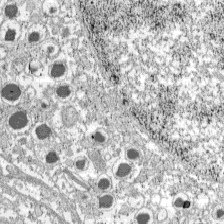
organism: C57BL Mouse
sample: Pancreatic islet